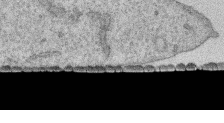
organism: Human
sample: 1205lu cells